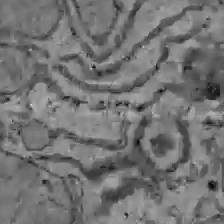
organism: C57BL Mouse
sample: Liver